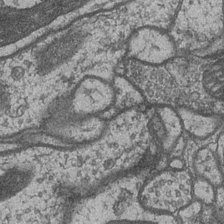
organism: Drosophila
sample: Optic medulla